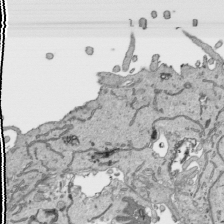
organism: Human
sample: Mitochondria in HCT116 cells